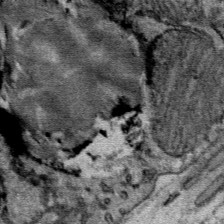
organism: Mouse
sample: Mouse Salivary gland